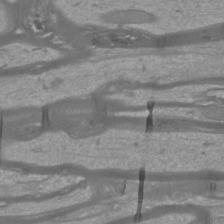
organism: Mouse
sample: Cortical neurons